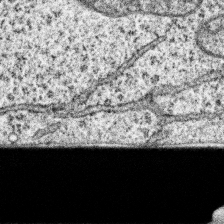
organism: Human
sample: HeLa cells